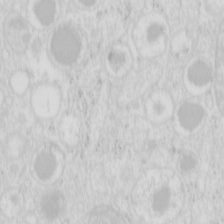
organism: Mouse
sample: Pancreas